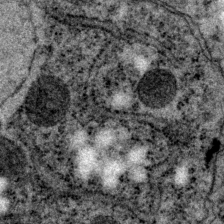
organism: P. pacificus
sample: Pharynx